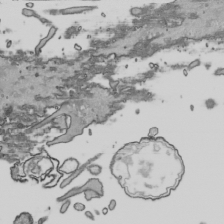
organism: Human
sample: Mitochondria in HCT116 cells